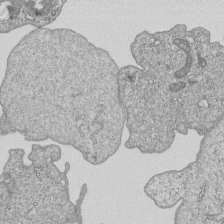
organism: Human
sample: MDA-MB-231 cells